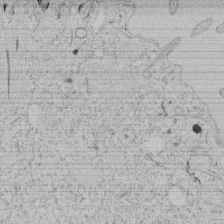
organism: Tetrahymena